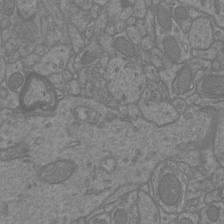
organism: Mouse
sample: Cortical neurons